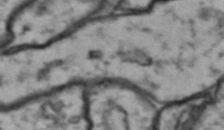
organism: Drosophila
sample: Brain